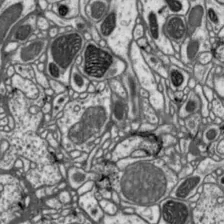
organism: Drosophila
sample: Protocerebral bridge